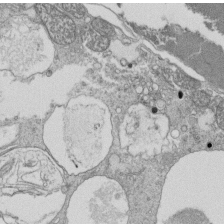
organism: Tetrahymena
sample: Cilia in tetrahymena